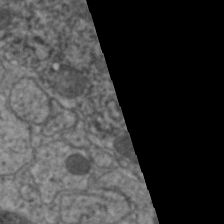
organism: C. elegans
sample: Pharynx